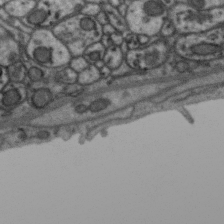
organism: Zebra finch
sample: Brain